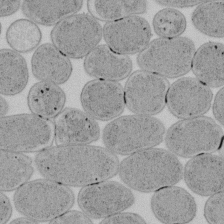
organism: E. coli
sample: Bacterial nucleoid